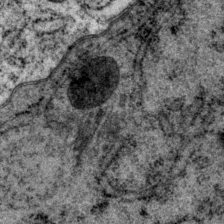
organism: P. pacificus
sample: Pharynx